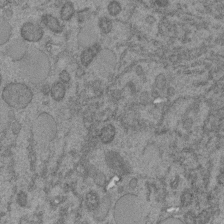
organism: C. elegans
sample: C. elegans embryo early stage